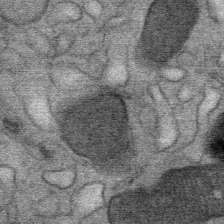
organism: Mouse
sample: Mouse Salivary gland